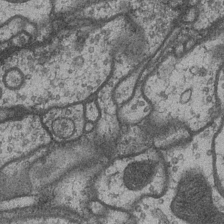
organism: Drosophila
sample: Optic medulla